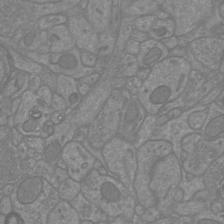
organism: Mouse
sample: Cortical neurons